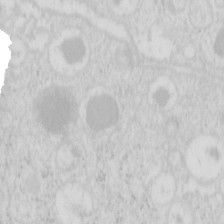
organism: Mouse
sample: Pancreas